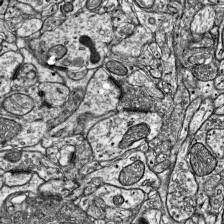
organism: Mouse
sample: Visual Cortex